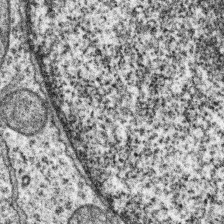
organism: Human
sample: HeLa cells